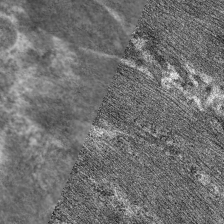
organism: C. elegans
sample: Pharynx